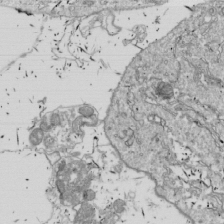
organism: Drosophila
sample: Cell division; meiosis; drosophila spermatocytes